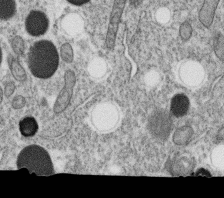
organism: C. elegans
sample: C. elegans oocyte; sperm cells